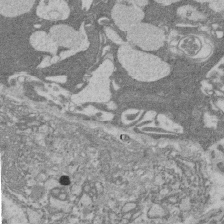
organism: Rat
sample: Salivary granule